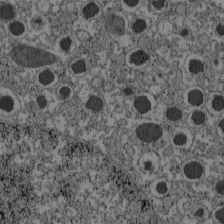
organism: C57BL Mouse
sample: Pancreatic islet